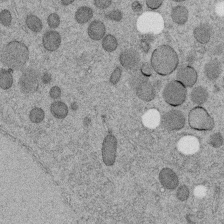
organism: C. elegans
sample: C. elegans embryo early stage